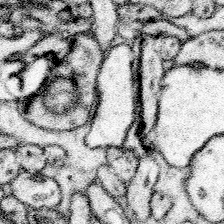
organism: Mouse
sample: Somatosensory cortex neuropil